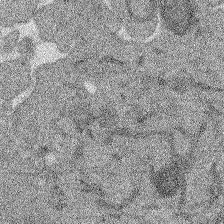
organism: Human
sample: HeLa cells